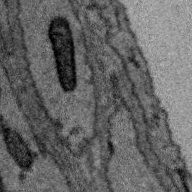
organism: Zebra finch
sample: Brain